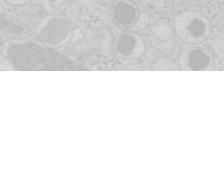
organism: Mouse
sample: Pancreas